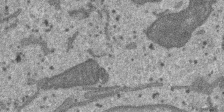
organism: Human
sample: Lung epithelial cells infected with SARS-CoV-2